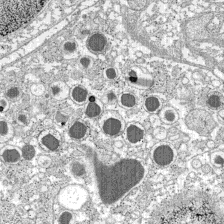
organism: C57BL Mouse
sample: Pancreatic islet